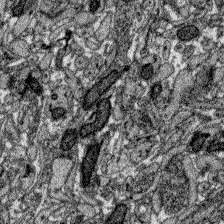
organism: Zebrafish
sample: Larval olfactory bulb